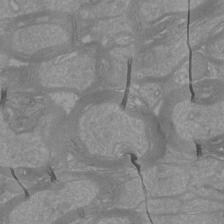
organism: Mouse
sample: Cortical neurons